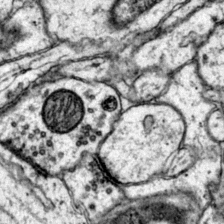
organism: Mouse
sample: Primary visual cortex